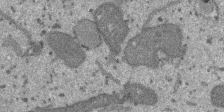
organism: Human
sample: Lung epithelial cells infected with SARS-CoV-2